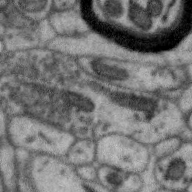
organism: Zebra finch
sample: Brain